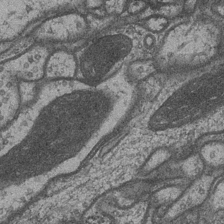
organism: Drosophila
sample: Optic medulla